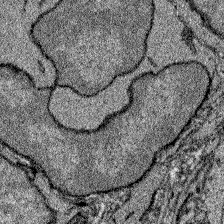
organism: Zebrafish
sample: Larval olfactory bulb